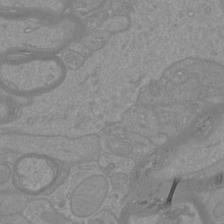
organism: Mouse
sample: Cortical neurons